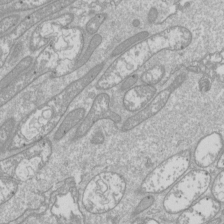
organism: Drosophila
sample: Cell division; meiosis; drosophila spermatocytes